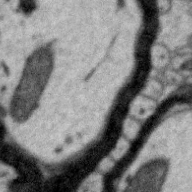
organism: Zebra finch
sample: Brain